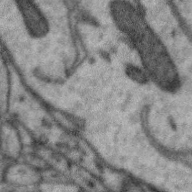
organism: Zebra finch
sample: Brain